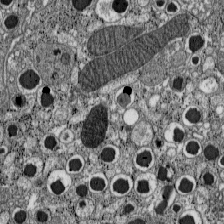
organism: C57BL Mouse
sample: Pancreatic islet